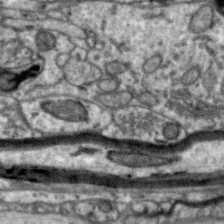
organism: Zebra finch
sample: Brain